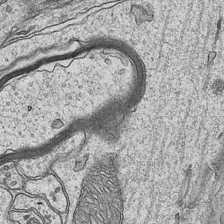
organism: Mouse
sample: CA1 Hippocampus